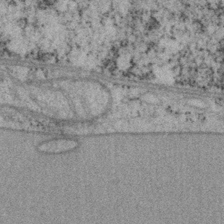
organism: Human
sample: HeLa cells